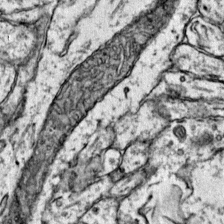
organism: Mouse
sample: Primary visual cortex